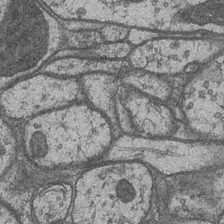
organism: Drosophila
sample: Optic medulla